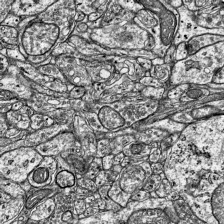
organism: Mouse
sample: Visual Cortex